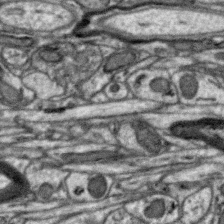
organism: Zebra finch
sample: Brain